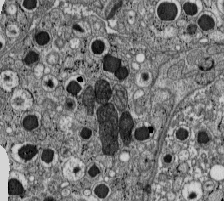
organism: C57BL Mouse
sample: Pancreatic islet